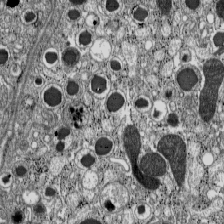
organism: C57BL Mouse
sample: Pancreatic islet